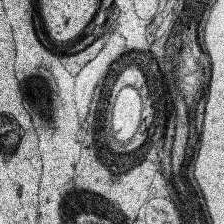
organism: Human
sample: Temporal Lobe